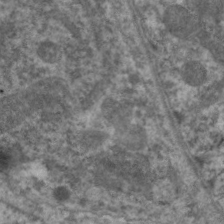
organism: C. elegans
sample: Pharynx